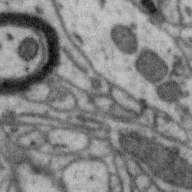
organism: Zebra finch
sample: Brain